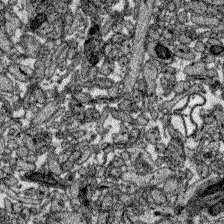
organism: Zebrafish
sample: Larval olfactory bulb